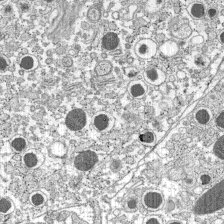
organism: C57BL Mouse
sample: Pancreatic islet